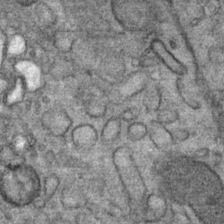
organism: Mouse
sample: Mouse Salivary gland